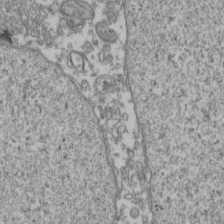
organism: Human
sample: Activated Jurkat CD4+ T cells